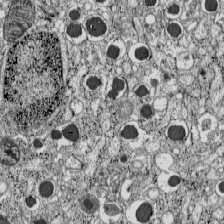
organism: C57BL Mouse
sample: Pancreatic islet